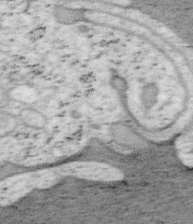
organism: Mouse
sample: OT-I killer T cells with ID8 ovarian cancer cells